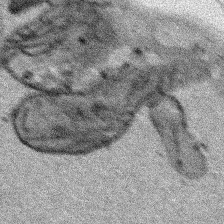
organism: Human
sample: Mitochondria in HCT116 cells